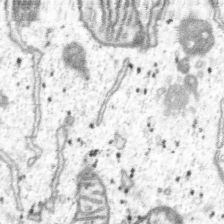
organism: Human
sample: HeLa cells